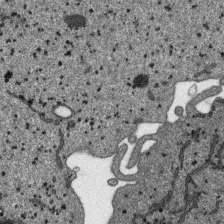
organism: Human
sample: Lung epithelial cells infected with SARS-CoV-2